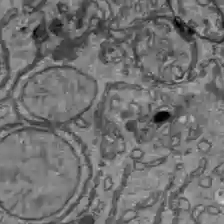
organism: C57BL Mouse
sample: Liver